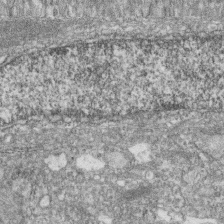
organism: Zebrafish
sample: Cilia; retinal pigment epithelium